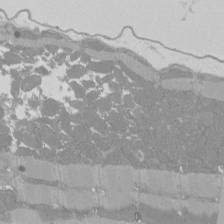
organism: Rat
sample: Left ventricle